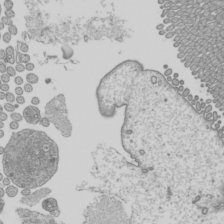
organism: Mouse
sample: Cilia; mouse epididymis